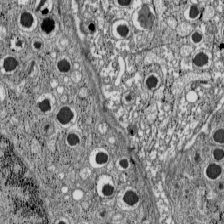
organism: C57BL Mouse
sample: Pancreatic islet